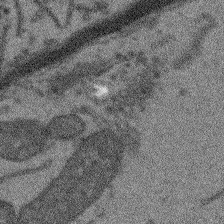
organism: Arabidopsis thaliana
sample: Root tip